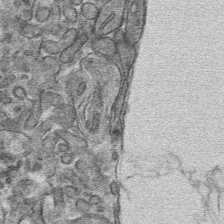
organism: Mouse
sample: Mouse hepatocytes